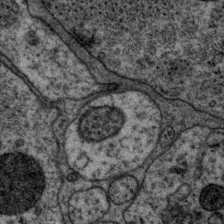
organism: P. pacificus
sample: Pharynx